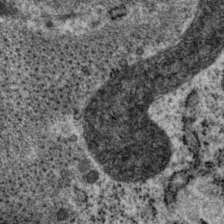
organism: P. pacificus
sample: Pharynx